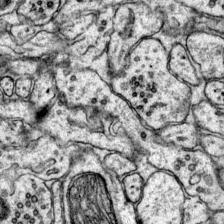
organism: Mouse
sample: Primary visual cortex